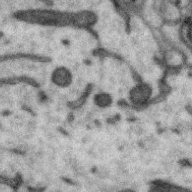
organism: Zebra finch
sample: Brain